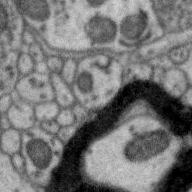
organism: Zebra finch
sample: Brain